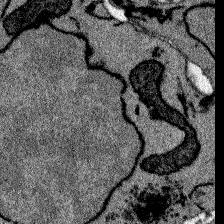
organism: Zebrafish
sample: Larval olfactory bulb